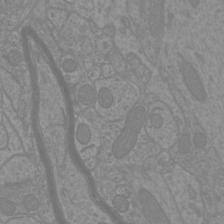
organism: Mouse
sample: Cortical neurons